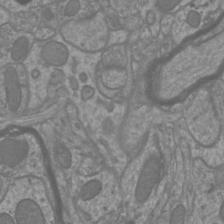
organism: Mouse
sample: Cortical neurons